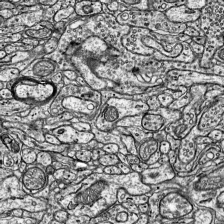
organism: Mouse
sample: Visual Cortex